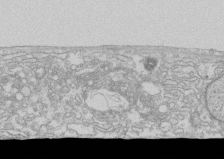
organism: Human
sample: CRL-1474